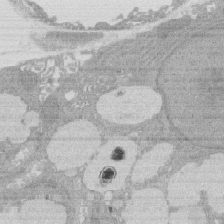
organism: Rat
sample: Salivary granule